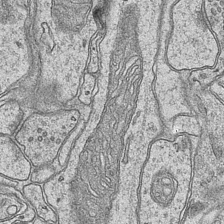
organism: Mouse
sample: CA1 Hippocampus